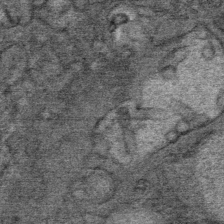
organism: Mouse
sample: Mouse Salivary gland